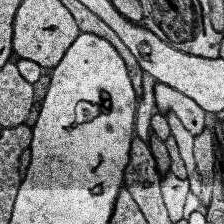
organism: Human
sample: Temporal Lobe